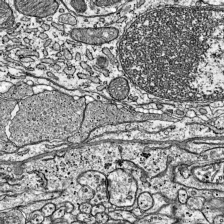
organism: Mouse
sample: Visual Cortex